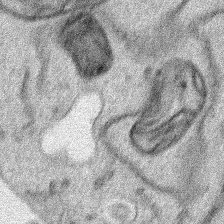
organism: Human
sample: Mitochondria in HCT116 cells